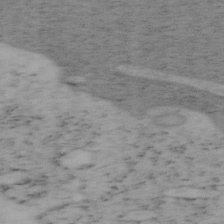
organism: Mouse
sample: OT-I killer T cells with ID8 ovarian cancer cells